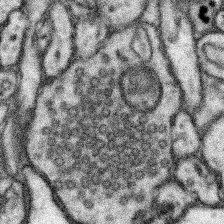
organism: Mouse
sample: Somatosensory cortex neuropil